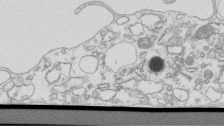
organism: Mouse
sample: Macrophages